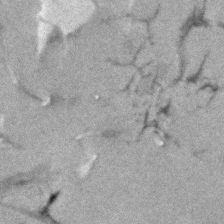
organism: Human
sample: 1205lu cells